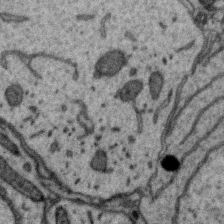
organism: Zebra finch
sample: Brain